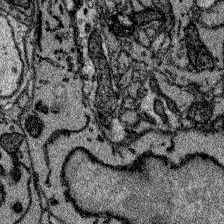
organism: Zebrafish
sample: Larval olfactory bulb